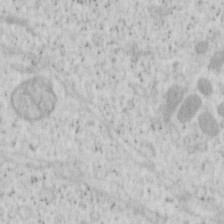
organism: Human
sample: HeLa cells